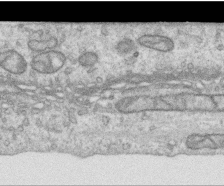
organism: Human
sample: Centriole in RPE cells